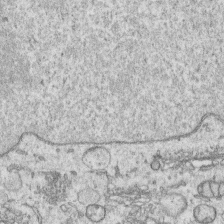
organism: Human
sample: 1205lu cells